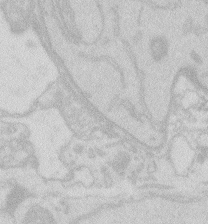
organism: Zebrafish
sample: Macrophage